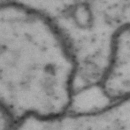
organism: Drosophila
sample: Brain